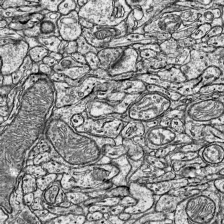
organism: Mouse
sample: Visual Cortex